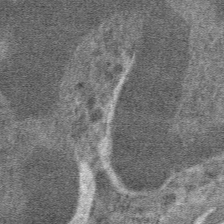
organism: Mouse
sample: Mouse hepatocytes